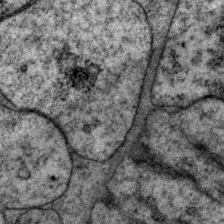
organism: P. pacificus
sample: Pharynx